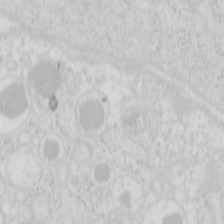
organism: Mouse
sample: Pancreas